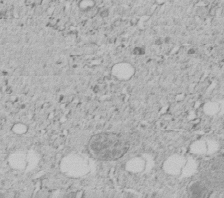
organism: C. elegans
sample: C. elegans embryo early stage